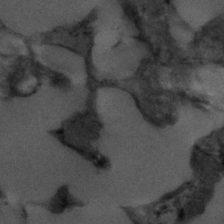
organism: C. elegans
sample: C. elegans embryo